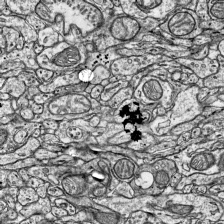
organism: Mouse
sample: Visual Cortex